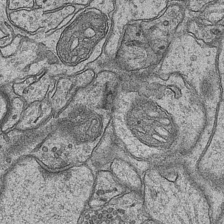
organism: Mouse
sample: CA1 Hippocampus